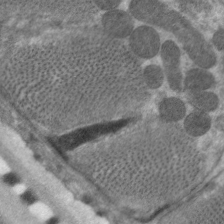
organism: C. elegans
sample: Pharynx